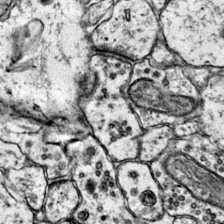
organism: Mouse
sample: Primary visual cortex